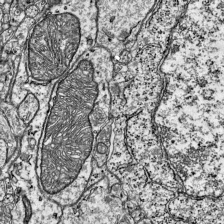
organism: Mouse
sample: Visual Cortex